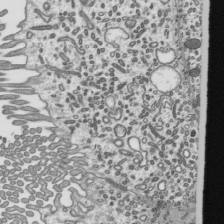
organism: Mouse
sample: Mouse epididymis efferent ductule cilia